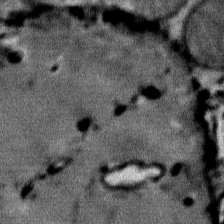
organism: Mouse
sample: Mouse Salivary gland